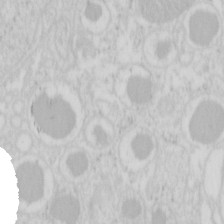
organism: Mouse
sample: Pancreas